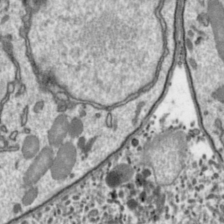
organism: Toxoplasma gondii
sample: Parasites in a vacuole inside a host cell